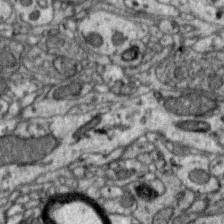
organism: Zebra finch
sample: Brain